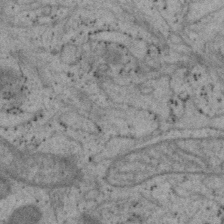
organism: Human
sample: HeLa cells